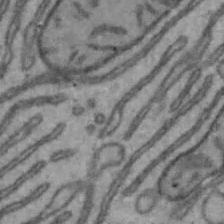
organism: Mouse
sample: Liver